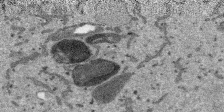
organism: Human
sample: Lung epithelial cells infected with SARS-CoV-2